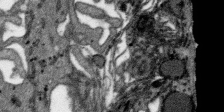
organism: Human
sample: Lung epithelial cells, uninfected (mock) control